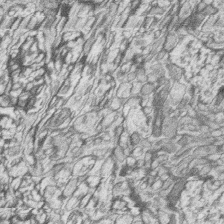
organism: Zebrafish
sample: synaptic ribbons in rod cells and cone cells